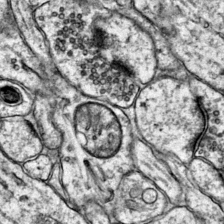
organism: Mouse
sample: Primary visual cortex